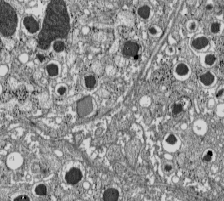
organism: C57BL Mouse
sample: Pancreatic islet